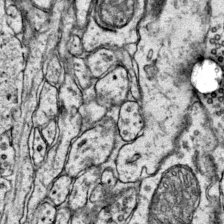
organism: Mouse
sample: Primary visual cortex